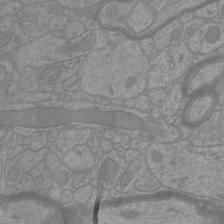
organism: Mouse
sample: Cortical neurons